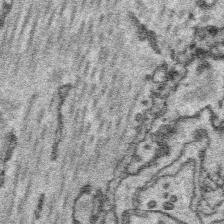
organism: Platynereis dumerilii